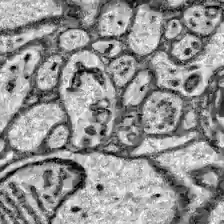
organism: Zebrafish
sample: Brain